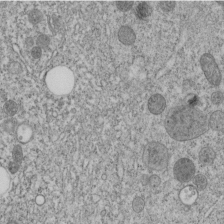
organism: C. elegans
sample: C. elegans embryo early stage